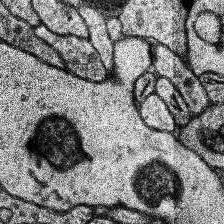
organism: Human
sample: Temporal Lobe